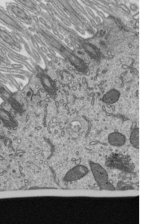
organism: Mouse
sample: Mouse epididymis efferent ductule cilia